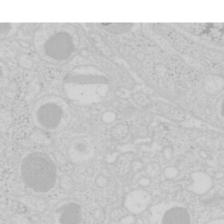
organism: Mouse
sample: Pancreas